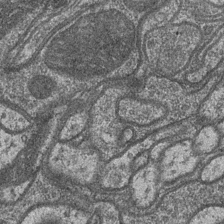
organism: Drosophila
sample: Optic medulla